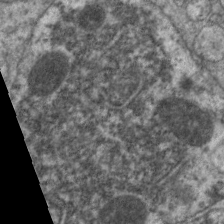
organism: C. elegans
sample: Pharynx